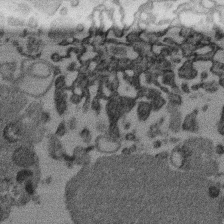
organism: Mouse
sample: Dividing mouse embryo 1 cell stage